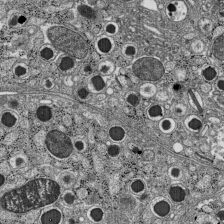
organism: C57BL Mouse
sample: Pancreatic islet